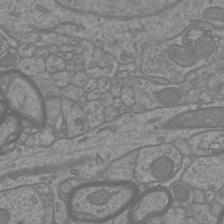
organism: Mouse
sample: Cortical neurons